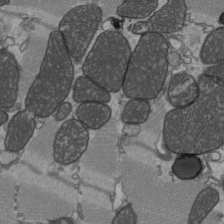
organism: C57BL Mouse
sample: Heart